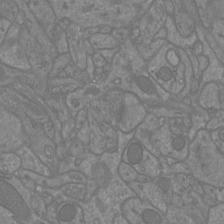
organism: Mouse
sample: Cortical neurons